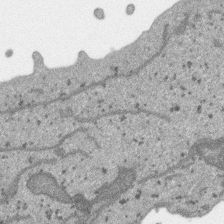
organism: Human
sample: Lung epithelial cells infected with SARS-CoV-2